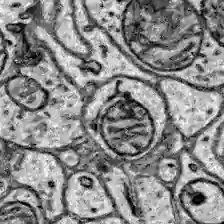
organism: Zebrafish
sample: Brain